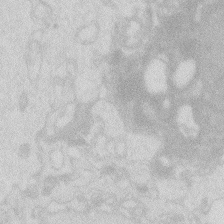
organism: Zebrafish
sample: Macrophage